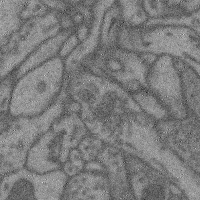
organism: Mouse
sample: Cerebral cortex